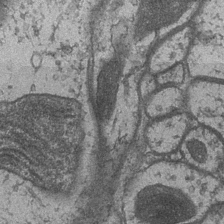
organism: Drosophila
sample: Optic medulla